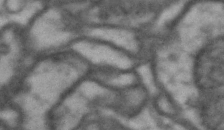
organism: Drosophila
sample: Brain